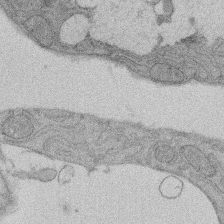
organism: Rat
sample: Salivary granule